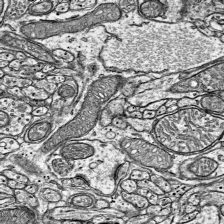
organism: Mouse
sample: Visual Cortex